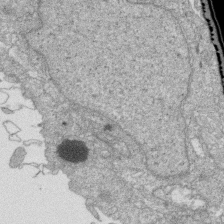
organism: Human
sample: HeLa cell HIV synapse